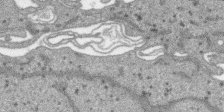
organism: Human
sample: Lung epithelial cells infected with SARS-CoV-2